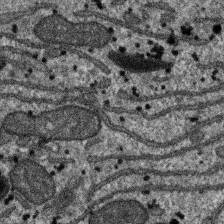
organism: Human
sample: Lung epithelial cells infected with SARS-CoV-2